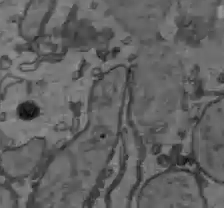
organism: C57BL Mouse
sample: Liver